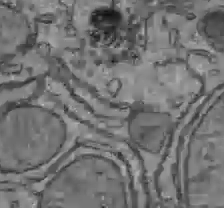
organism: C57BL Mouse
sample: Liver